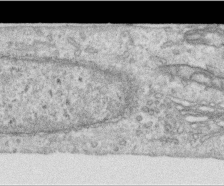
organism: Human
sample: Centriole in RPE cells